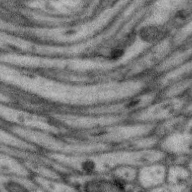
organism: Zebra finch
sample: Brain